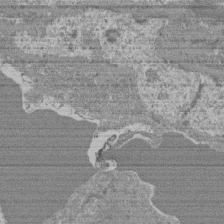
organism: Mouse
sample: Glomerulus